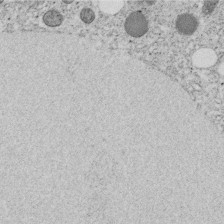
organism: C. elegans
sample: C. elegans embryo early stage